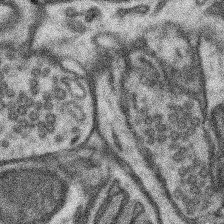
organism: Mouse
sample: Somatosensory cortex neuropil